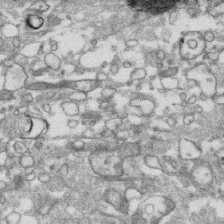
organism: Human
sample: CRL-1474